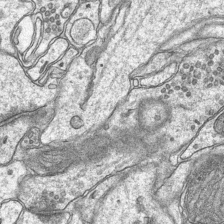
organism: Mouse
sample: CA1 Hippocampus